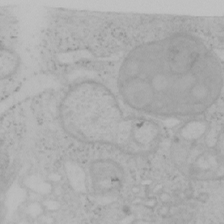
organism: Mouse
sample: OT-I killer T cells with ID8 ovarian cancer cells